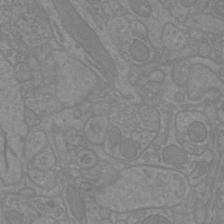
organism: Mouse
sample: Cortical neurons